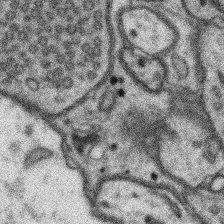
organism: Mouse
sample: Somatosensory cortex neuropil